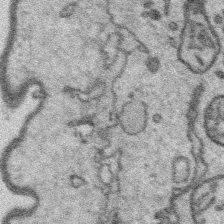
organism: Platynereis dumerilii